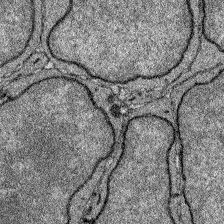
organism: Zebrafish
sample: Larval olfactory bulb